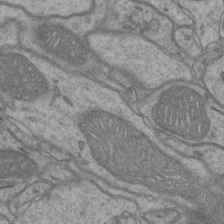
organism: Mouse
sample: CA1 Hippocampus